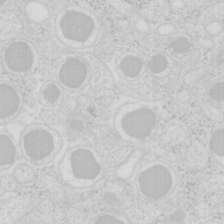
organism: Mouse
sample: Pancreas